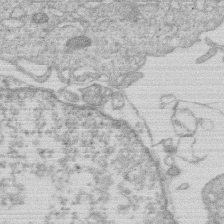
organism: Human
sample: Macrophage cells